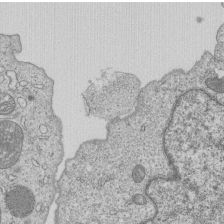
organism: Human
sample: MDA-MB-231 cells